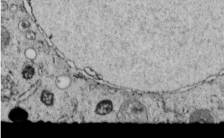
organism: C. elegans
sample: C. elegans embryo early stage